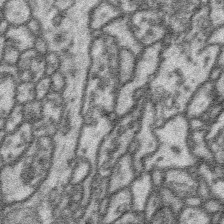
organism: Platynereis dumerilii